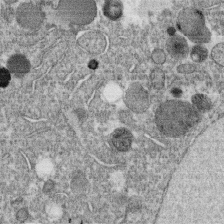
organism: C. elegans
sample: C. elegans oocyte; sperm cells